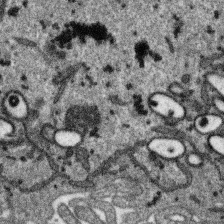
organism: Human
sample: Lung epithelial cells infected with SARS-CoV-2